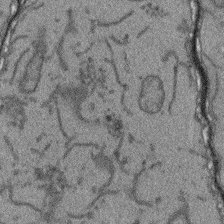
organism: Arabidopsis thaliana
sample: Root tip